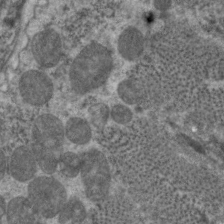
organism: C. elegans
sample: Pharynx